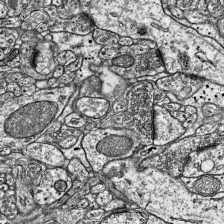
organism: Mouse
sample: Visual Cortex